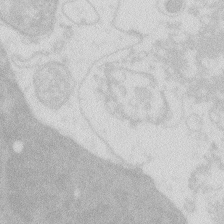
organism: Zebrafish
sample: Macrophage